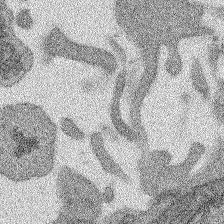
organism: Human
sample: HeLa cells